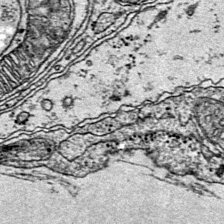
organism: Mouse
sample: Primary visual cortex